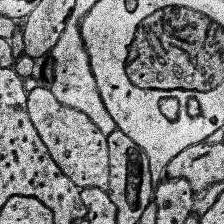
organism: Human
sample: Temporal Lobe